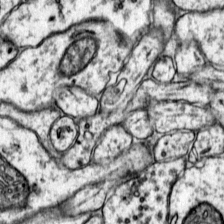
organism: Mouse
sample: Primary visual cortex